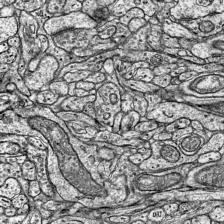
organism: Mouse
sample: Visual Cortex